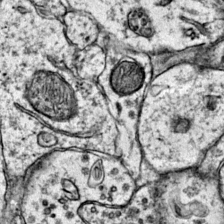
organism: Mouse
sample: Primary visual cortex